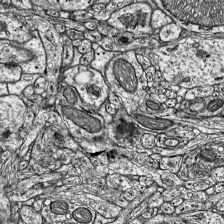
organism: Mouse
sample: Visual Cortex